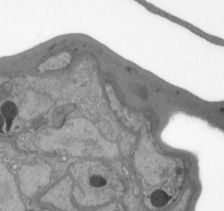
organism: Plasmodium falciparum